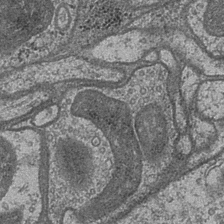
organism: Drosophila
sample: Optic medulla